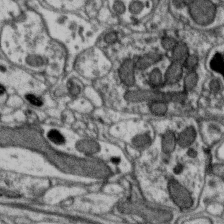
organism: Zebra finch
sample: Brain